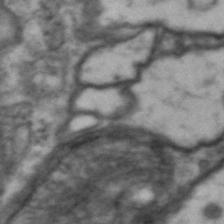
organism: Drosophila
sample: Brain